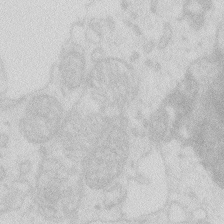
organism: Zebrafish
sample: Macrophage